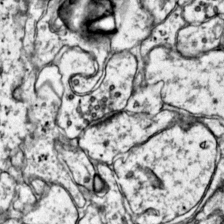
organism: Mouse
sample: Primary visual cortex